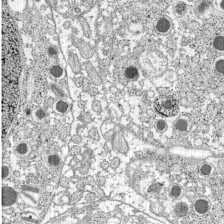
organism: C57BL Mouse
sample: Pancreatic islet